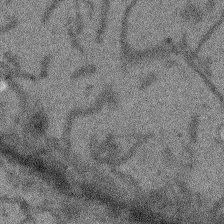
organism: Arabidopsis thaliana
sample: Root tip